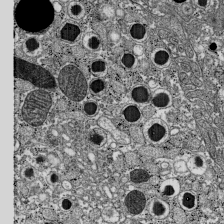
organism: C57BL Mouse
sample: Pancreatic islet